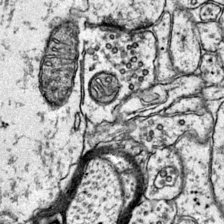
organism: Mouse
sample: Primary visual cortex